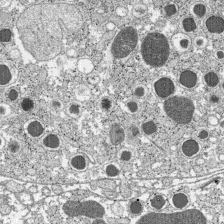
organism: C57BL Mouse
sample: Pancreatic islet